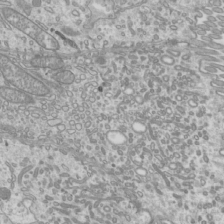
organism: Mouse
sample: Cilia; mouse epididymis